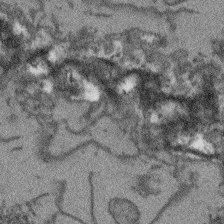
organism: Arabidopsis thaliana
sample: Root tip